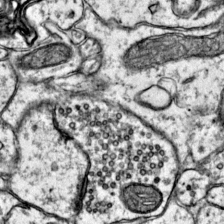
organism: Mouse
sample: Primary visual cortex